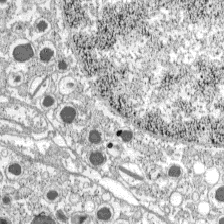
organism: C57BL Mouse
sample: Pancreatic islet